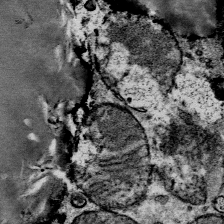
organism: Mouse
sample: Mouse Salivary gland